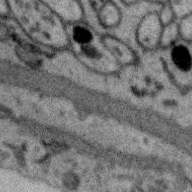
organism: Zebra finch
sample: Brain